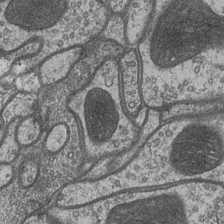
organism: Drosophila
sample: Optic medulla